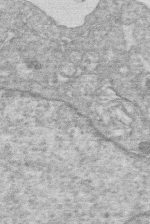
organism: Human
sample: Macrophage cells